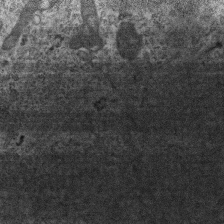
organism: Mouse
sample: Centriole in ependymal cells